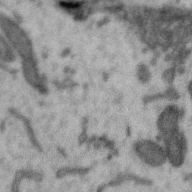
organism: Zebra finch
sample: Brain